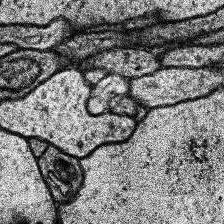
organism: Human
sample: Temporal Lobe